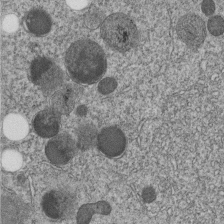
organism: C. elegans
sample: C. elegans embryo early stage